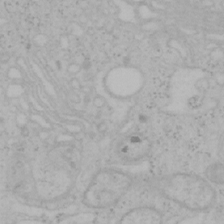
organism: Mouse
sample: OT-I killer T cells with ID8 ovarian cancer cells